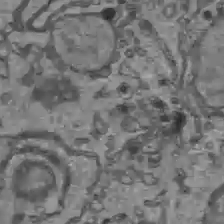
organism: C57BL Mouse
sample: Liver